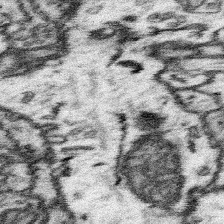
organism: Mouse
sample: Somatosensory cortex neuropil